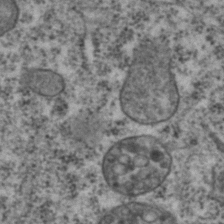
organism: C. elegans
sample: C. elegans embryo